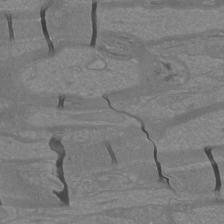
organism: Mouse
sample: Cortical neurons